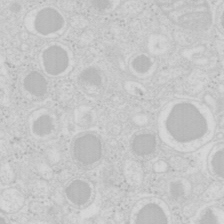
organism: Mouse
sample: Pancreas